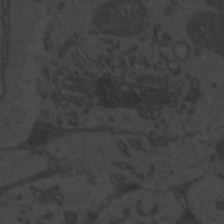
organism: Zebrafish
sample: Macrophage infected with Toxoplasma gondii